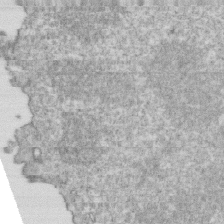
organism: Mouse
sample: Activated OT-1 CD8+ T cells